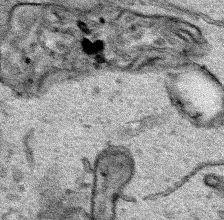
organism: Human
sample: Mitochondria in HCT116 cells